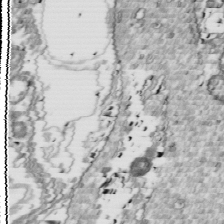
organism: Drosophila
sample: Cell division; meiosis; drosophila spermatocytes